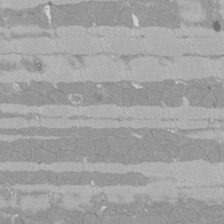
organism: Rat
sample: Left ventricle